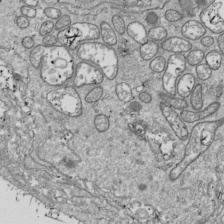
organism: Drosophila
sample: Cell division; meiosis; drosophila spermatocytes